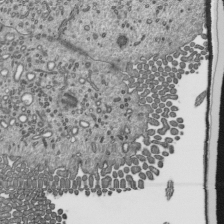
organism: Mouse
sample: Mouse epididymis efferent ductule cilia